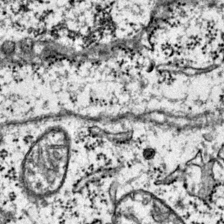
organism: Mouse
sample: Primary visual cortex